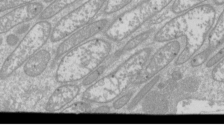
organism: Drosophila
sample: Cell division; meiosis; drosophila spermatocytes